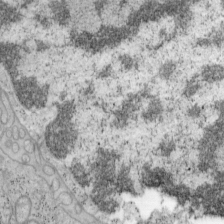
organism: Mouse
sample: OT-I killer T cells with ID8 ovarian cancer cells